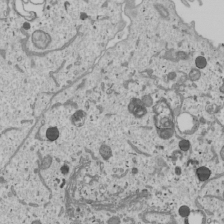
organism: Human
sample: Mitochondria in U2OS cells